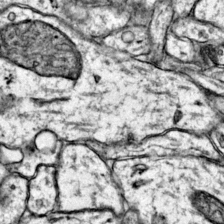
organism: Mouse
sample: Primary visual cortex